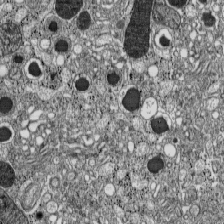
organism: C57BL Mouse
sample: Pancreatic islet